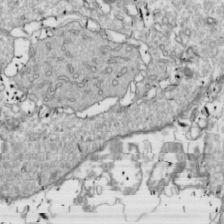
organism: Drosophila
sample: Cell division; meiosis; drosophila spermatocytes